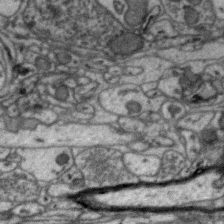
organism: Zebra finch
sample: Brain